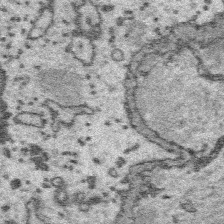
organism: Platynereis dumerilii